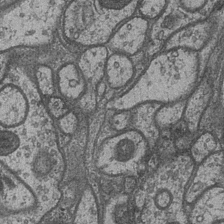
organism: Drosophila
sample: Optic medulla